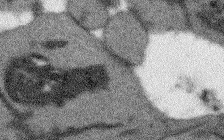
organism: Arabidopsis thaliana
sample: Root tip